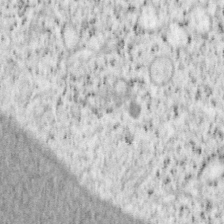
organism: Mouse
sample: OT-I killer T cells with ID8 ovarian cancer cells